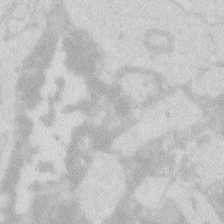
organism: Zebrafish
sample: Macrophage